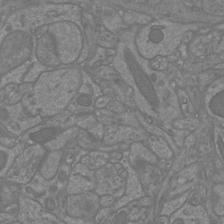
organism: Mouse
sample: Cortical neurons